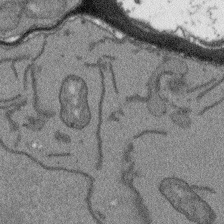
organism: Arabidopsis thaliana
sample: Root tip